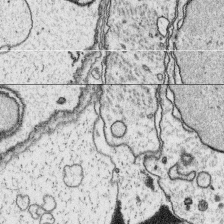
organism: Platynereis dumerilii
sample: Parapodia